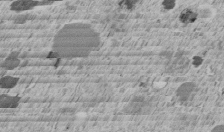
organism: C. elegans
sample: C. elegans embryo early stage